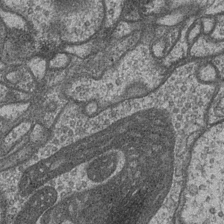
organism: Drosophila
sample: Optic medulla